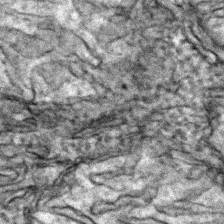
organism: Zebrafish